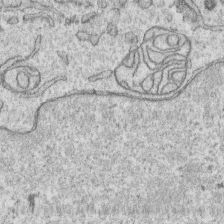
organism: Human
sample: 1205lu cells